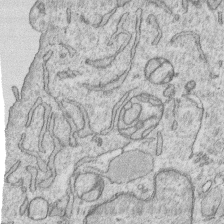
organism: Human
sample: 1205lu cells